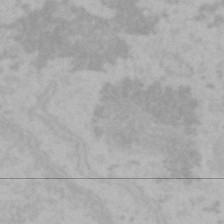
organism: Mouse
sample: Choroid plexus